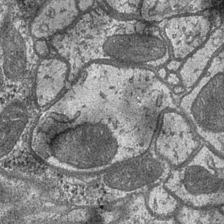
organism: Drosophila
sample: Optic medulla